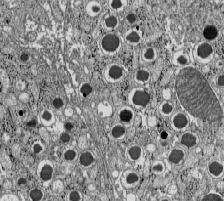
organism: C57BL Mouse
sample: Pancreatic islet